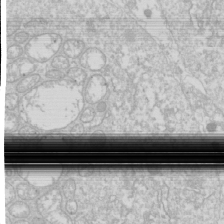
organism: Drosophila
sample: Cell division; meiosis; drosophila spermatocytes